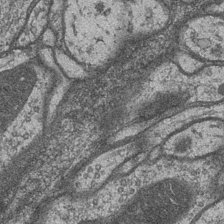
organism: Drosophila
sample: Optic medulla